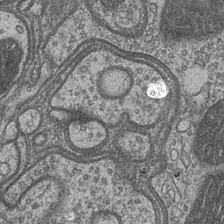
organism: Drosophila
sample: Optic medulla